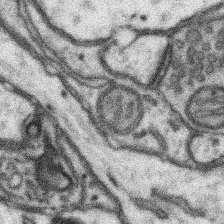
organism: Mouse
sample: Somatosensory cortex neuropil